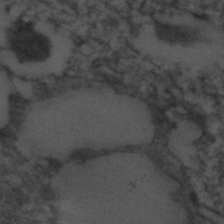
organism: C. elegans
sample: C. elegans embryo